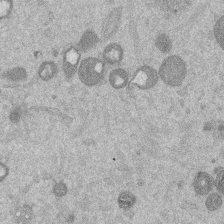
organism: Mouse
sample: Dividing mouse embryo 1 cell stage